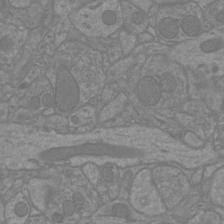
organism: Mouse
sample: Cortical neurons